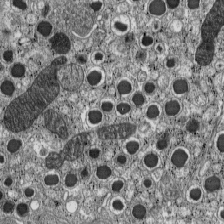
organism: C57BL Mouse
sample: Pancreatic islet